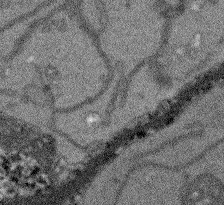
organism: Arabidopsis thaliana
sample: Root tip